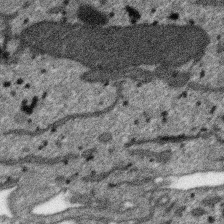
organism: Human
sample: Lung epithelial cells infected with SARS-CoV-2